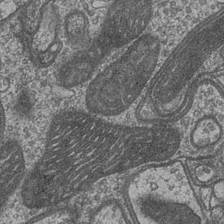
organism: Drosophila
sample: Optic medulla